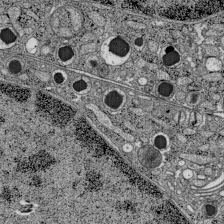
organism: C57BL Mouse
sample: Pancreatic islet